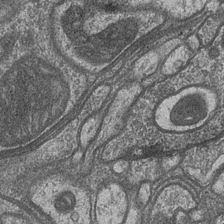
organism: Drosophila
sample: Optic medulla